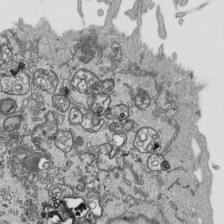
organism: Human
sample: Mitochondria in HCT116 cells